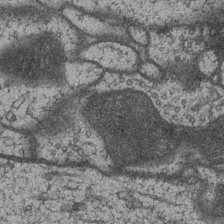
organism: Drosophila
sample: Optic medulla